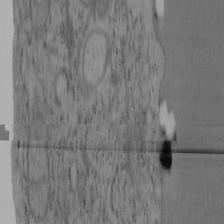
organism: Human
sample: HeLa cells